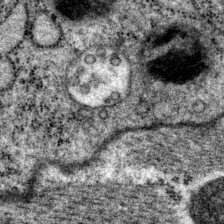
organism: P. pacificus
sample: Pharynx